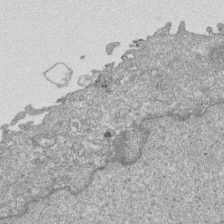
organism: Human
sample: HeLa cell HIV synapse